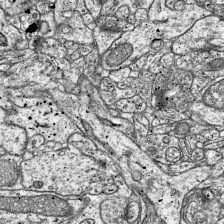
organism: Mouse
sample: Visual Cortex